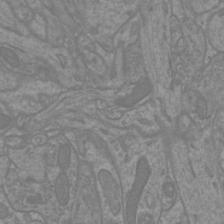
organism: Mouse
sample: Cortical neurons